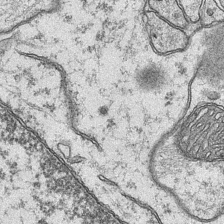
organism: Mouse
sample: CA1 Hippocampus